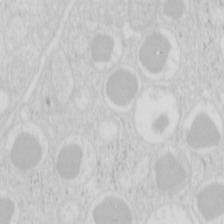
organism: Mouse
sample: Pancreas